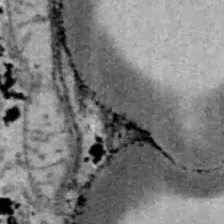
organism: Mouse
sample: Liver from an obese (ob/ob) mouse